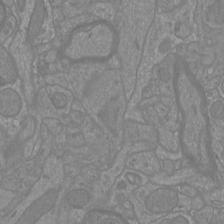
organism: Mouse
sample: Cortical neurons